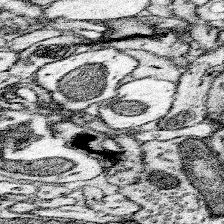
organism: Mouse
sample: Somatosensory cortex neuropil